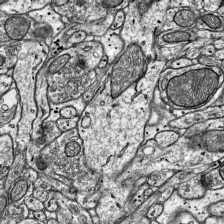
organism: Mouse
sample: Visual Cortex